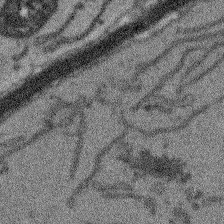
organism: Arabidopsis thaliana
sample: Root tip